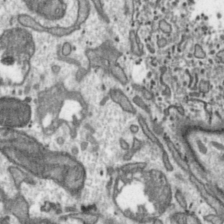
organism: Toxoplasma gondii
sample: Parasites in a vacuole inside a host cell